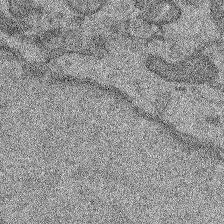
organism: Human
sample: HeLa cells